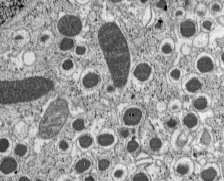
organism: C57BL Mouse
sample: Pancreatic islet